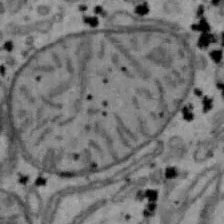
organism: Mouse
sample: Liver